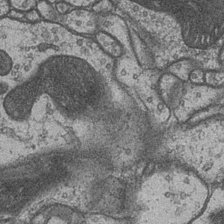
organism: Drosophila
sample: Optic medulla